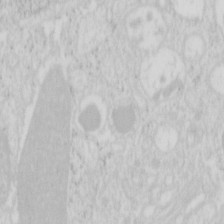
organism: Mouse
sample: Pancreas